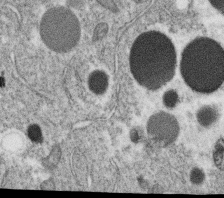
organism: C. elegans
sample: C. elegans oocyte; sperm cells